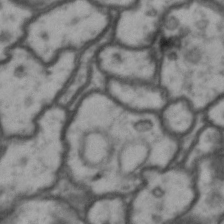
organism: Drosophila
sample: Brain